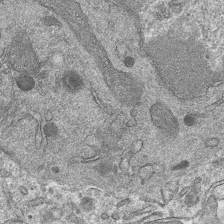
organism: Mouse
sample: Mouse hepatocytes